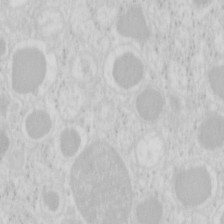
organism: Mouse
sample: Pancreas